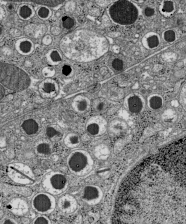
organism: C57BL Mouse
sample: Pancreatic islet